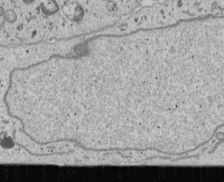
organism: Human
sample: Mitochondria in U2OS cells